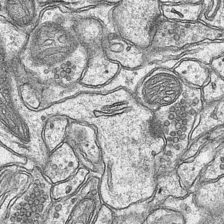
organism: Mouse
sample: CA1 Hippocampus